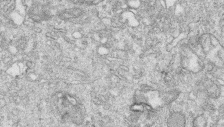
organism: Human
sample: HeLa cell HIV synapse